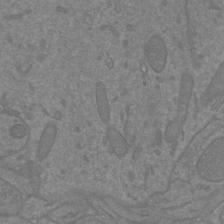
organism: Mouse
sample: Cortical neurons